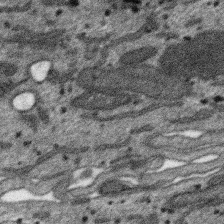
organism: Human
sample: Lung epithelial cells infected with SARS-CoV-2